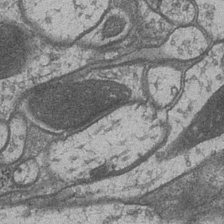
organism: Drosophila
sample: Optic medulla